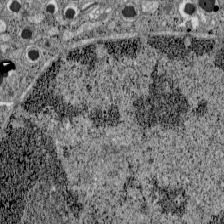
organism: C57BL Mouse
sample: Pancreatic islet